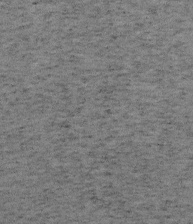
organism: Mouse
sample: OT-I killer T cells with ID8 ovarian cancer cells